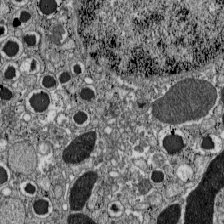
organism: C57BL Mouse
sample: Pancreatic islet